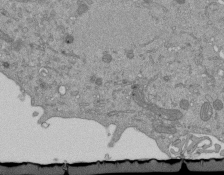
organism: Mouse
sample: ED-1 cell nuclei; centrioles